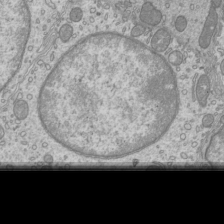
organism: Mouse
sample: Cilia; mouse epididymis